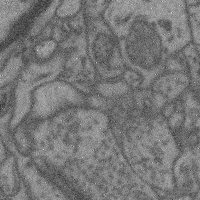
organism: Mouse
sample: Cerebral cortex